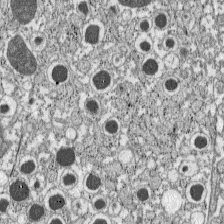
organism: C57BL Mouse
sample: Pancreatic islet